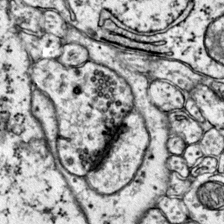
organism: Mouse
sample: Primary visual cortex